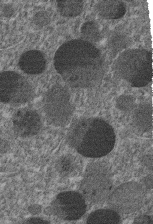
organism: C. elegans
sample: C. elegans embryo early stage